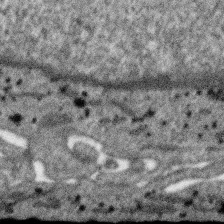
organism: Human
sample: Lung epithelial cells infected with SARS-CoV-2